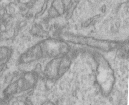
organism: Human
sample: Centriole in RPE cells